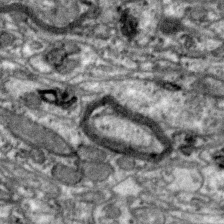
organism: Zebra finch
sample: Brain